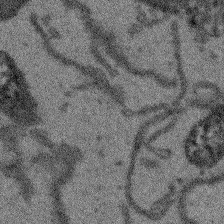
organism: Arabidopsis thaliana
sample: Root tip